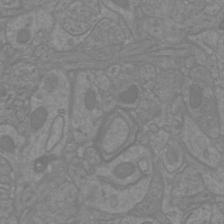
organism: Mouse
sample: Cortical neurons